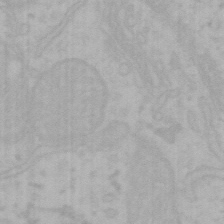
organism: Mouse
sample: Choroid plexus